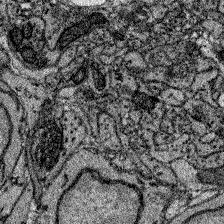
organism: Zebrafish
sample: Larval olfactory bulb